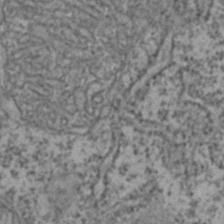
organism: Zebrafish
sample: Zebrafish embryo